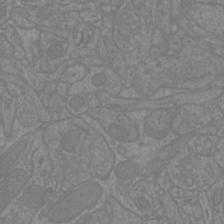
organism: Mouse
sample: Cortical neurons